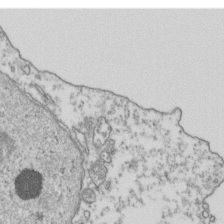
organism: Human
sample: Activated Jurkat CD4+ T cells